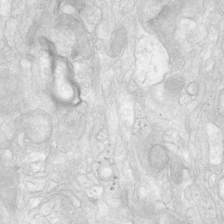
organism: Human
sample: Neocortex